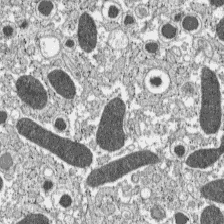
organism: C57BL Mouse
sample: Pancreatic islet